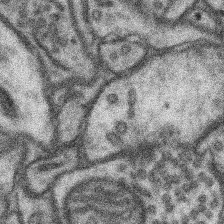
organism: Mouse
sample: Somatosensory cortex neuropil